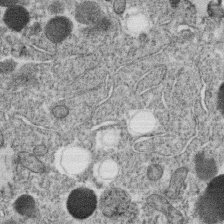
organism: C. elegans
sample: C. elegans oocyte; sperm cells